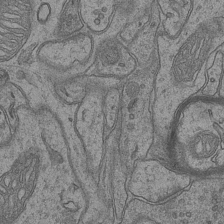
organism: Mouse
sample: CA1 Hippocampus